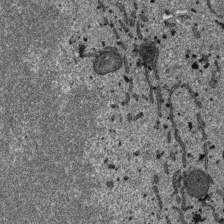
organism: Human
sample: Lung epithelial cells infected with SARS-CoV-2